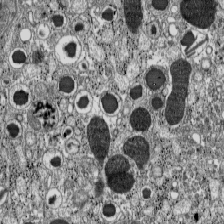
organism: C57BL Mouse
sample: Pancreatic islet